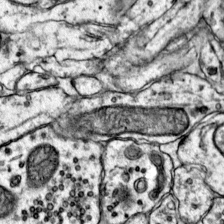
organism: Mouse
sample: Primary visual cortex